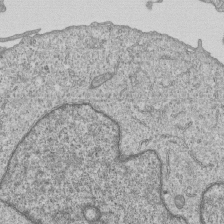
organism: Human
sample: MDA-MB-231 cells